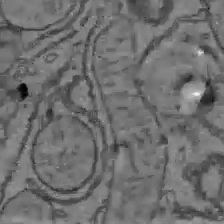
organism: C57BL Mouse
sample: Liver